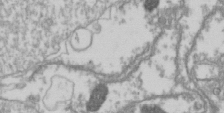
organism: Drosophila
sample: Cell division; meiosis; drosophila spermatocytes